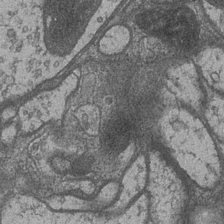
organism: Drosophila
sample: Optic medulla